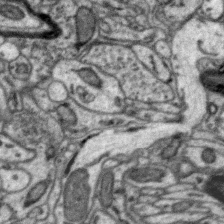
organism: Zebra finch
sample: Brain